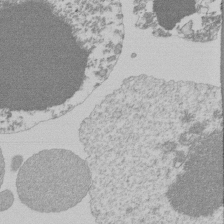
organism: Mouse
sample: Activated Pmel transgenic CD8+ T Cells